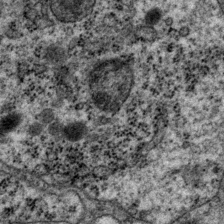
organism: P. pacificus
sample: Pharynx